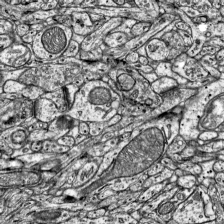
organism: Mouse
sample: Visual Cortex